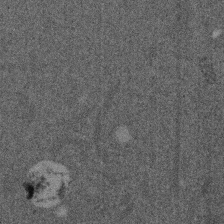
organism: Mouse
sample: Dividing mouse embryo 1 cell stage